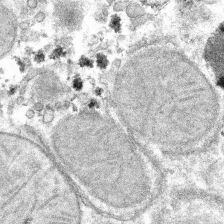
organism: Mouse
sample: Mouse hepatocytes